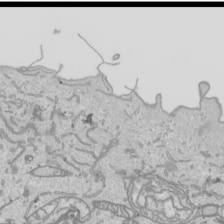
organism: Human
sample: Mitochondria in HCT116 cells